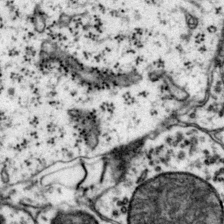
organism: Mouse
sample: Primary visual cortex